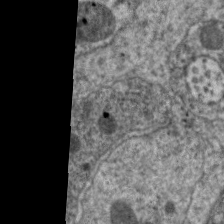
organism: C. elegans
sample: Pharynx